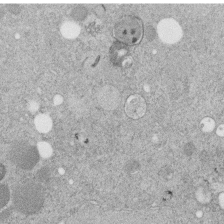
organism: C. elegans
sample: C. elegans embryo early stage